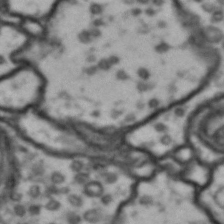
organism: Drosophila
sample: Brain